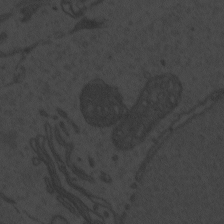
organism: Zebrafish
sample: Macrophage infected with Toxoplasma gondii